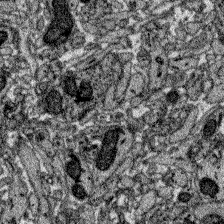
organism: Zebrafish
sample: Larval olfactory bulb